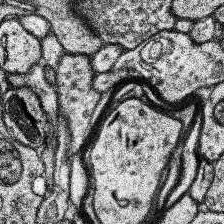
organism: Human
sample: Temporal Lobe